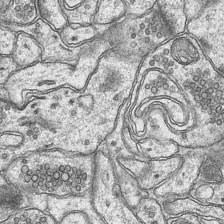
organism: Mouse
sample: CA1 Hippocampus